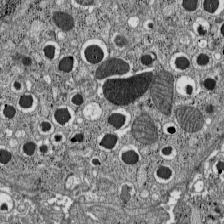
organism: C57BL Mouse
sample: Pancreatic islet